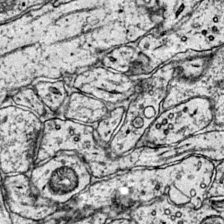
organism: Mouse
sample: Primary visual cortex